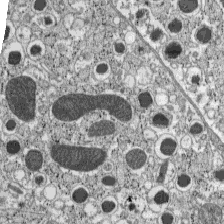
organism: C57BL Mouse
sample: Pancreatic islet